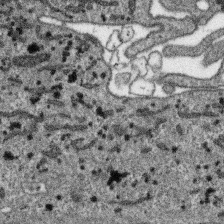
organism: Human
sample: Lung epithelial cells infected with SARS-CoV-2